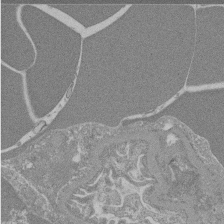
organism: Mouse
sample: Glomerulus